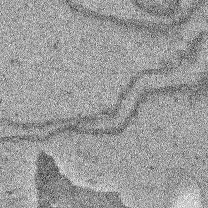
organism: Human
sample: HeLa cells